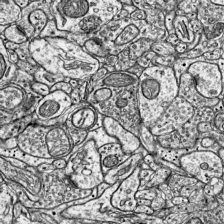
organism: Mouse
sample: Visual Cortex